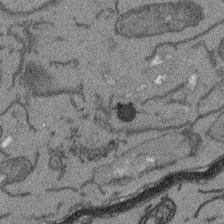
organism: Arabidopsis thaliana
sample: Root tip